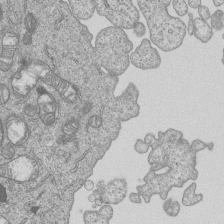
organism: Human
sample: MDA-MB-231 cells